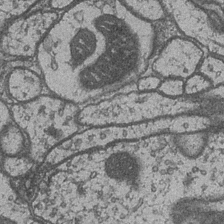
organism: Drosophila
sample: Optic medulla